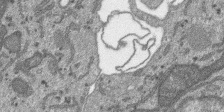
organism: Human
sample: Lung epithelial cells infected with SARS-CoV-2